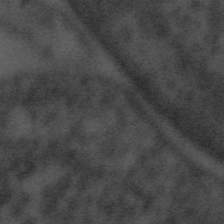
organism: Tuwongella immobilis